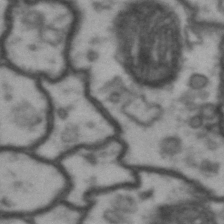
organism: Drosophila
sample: Brain